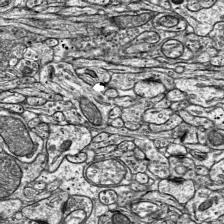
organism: Mouse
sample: Visual Cortex